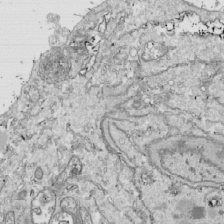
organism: Drosophila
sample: Cell division; meiosis; drosophila spermatocytes